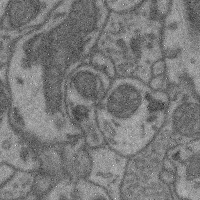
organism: Mouse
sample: Cerebral cortex